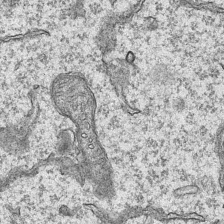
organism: Mouse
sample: CA1 Hippocampus